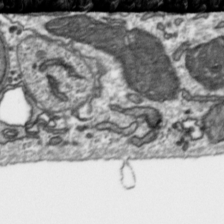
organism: Toxoplasma gondii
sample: Parasites in a vacuole inside a host cell